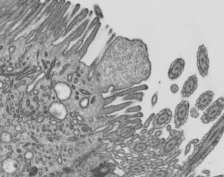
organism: Mouse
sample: Mouse epididymis efferent ductule cilia